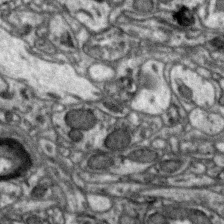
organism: Zebra finch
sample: Brain